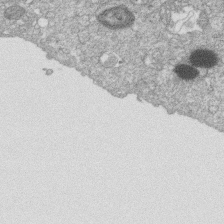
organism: Human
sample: HeLa cell HIV synapse